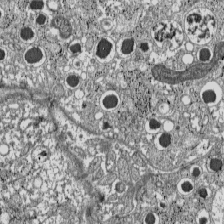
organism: C57BL Mouse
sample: Pancreatic islet